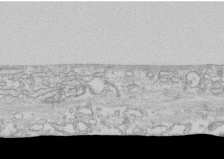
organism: Human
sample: CRL-1474